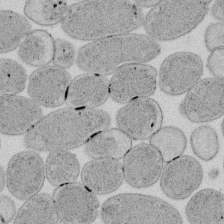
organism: E. coli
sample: Bacterial nucleoid